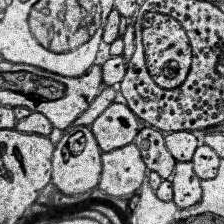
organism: Human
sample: Temporal Lobe